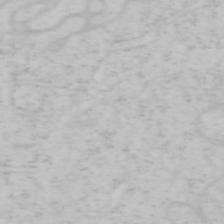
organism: Mouse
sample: OT-I killer T cells with ID8 ovarian cancer cells